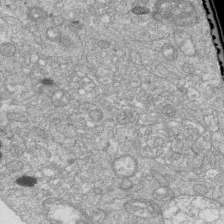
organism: Human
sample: HeLa cell HIV synapse